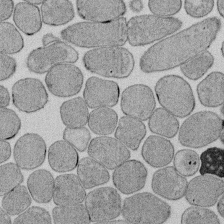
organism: E. coli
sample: Bacterial nucleoid